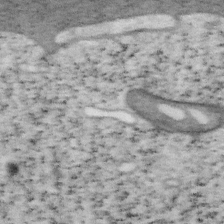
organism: Mouse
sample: OT-I killer T cells with ID8 ovarian cancer cells